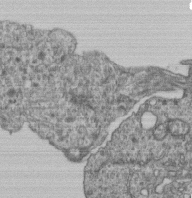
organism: Human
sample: Retinal organoid Rod and Cone cells